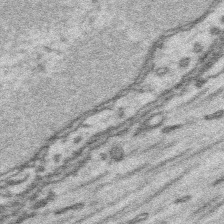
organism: Platynereis dumerilii